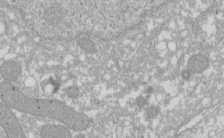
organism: Xenopus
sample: Cilia; centrioles in frog embryo cells